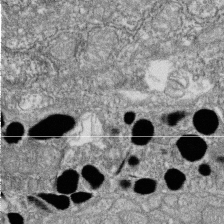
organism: Zebrafish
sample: Cilia; retinal pigment epithelium